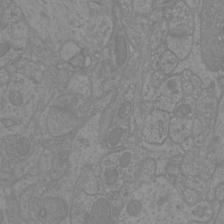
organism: Mouse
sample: Cortical neurons